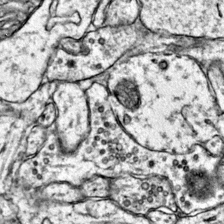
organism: Mouse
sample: Primary visual cortex